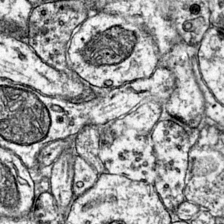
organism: Mouse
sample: Primary visual cortex